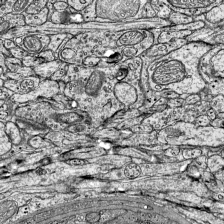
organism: Mouse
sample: Visual Cortex